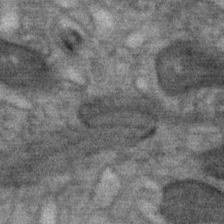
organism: Mouse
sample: Mouse Salivary gland